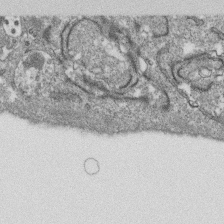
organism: African green monkey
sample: Vero E6 cells infected with SARS-CoV-2